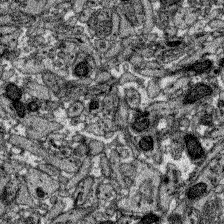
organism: Zebrafish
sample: Larval olfactory bulb